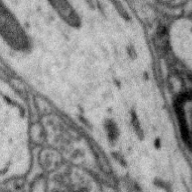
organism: Zebra finch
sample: Brain